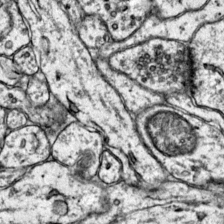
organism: Mouse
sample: Primary visual cortex